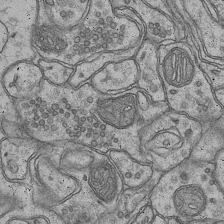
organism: Mouse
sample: CA1 Hippocampus